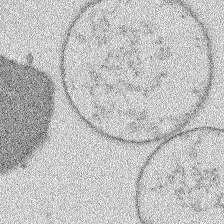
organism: Human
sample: HeLa cells